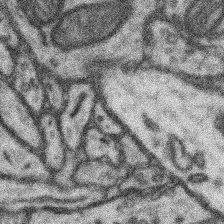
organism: Mouse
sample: Somatosensory cortex neuropil